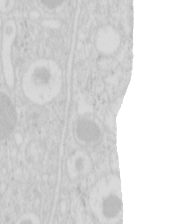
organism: Mouse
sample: Pancreas